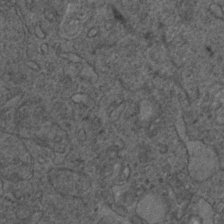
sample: Trachea